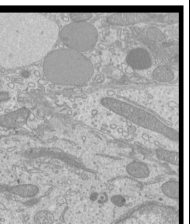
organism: Mouse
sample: Cilia; mouse epididymis